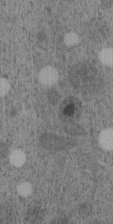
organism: C. elegans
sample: C. elegans embryo early stage